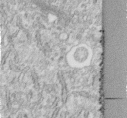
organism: Human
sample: Centriole in fibroblast cells